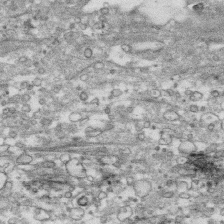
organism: Human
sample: CRL-1474